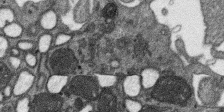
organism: Human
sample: Lung epithelial cells infected with SARS-CoV-2